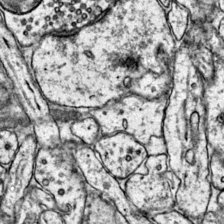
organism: Mouse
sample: Primary visual cortex